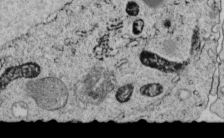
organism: C. elegans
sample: C. elegans embryo early stage